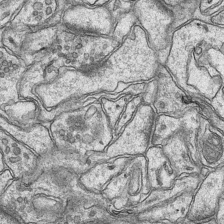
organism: Mouse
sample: CA1 Hippocampus